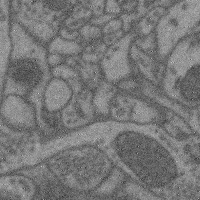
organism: Mouse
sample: Cerebral cortex